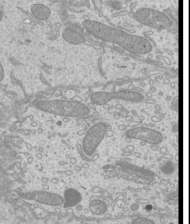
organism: Mouse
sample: Cilia; mouse epididymis